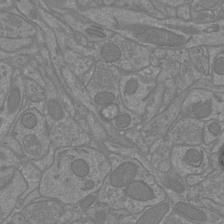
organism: Mouse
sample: Cortical neurons